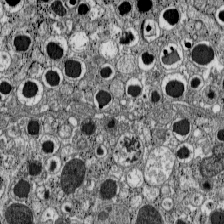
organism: C57BL Mouse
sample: Pancreatic islet